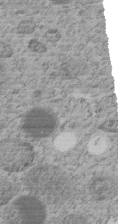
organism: C. elegans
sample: C. elegans embryo early stage